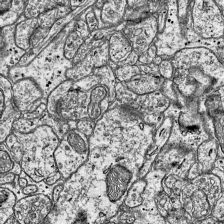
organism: Mouse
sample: Visual Cortex